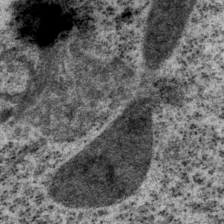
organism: P. pacificus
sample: Pharynx